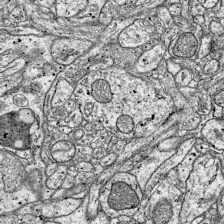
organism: Mouse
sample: Visual Cortex